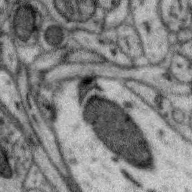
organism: Zebra finch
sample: Brain